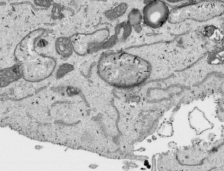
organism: Human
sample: Mitochondria in HCT116 cells